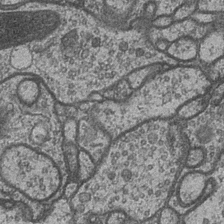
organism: Drosophila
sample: Optic medulla